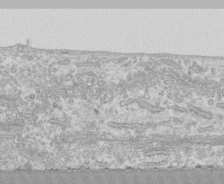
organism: Human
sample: CRL-1474